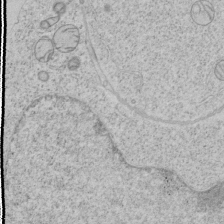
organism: Human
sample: Mitochondria in HCT116 cells